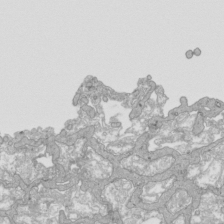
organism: Human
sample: Mitochondria in HCT116 cells